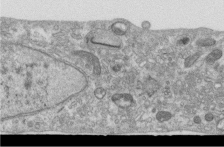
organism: Human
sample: Centriole in RPE cells